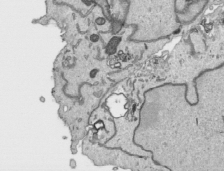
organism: Human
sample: Mitochondria in HCT116 cells